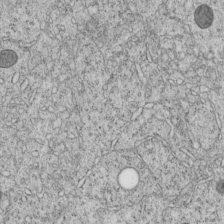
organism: C. elegans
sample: C. elegans embryo early stage